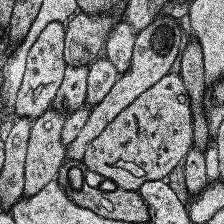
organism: Human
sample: Temporal Lobe